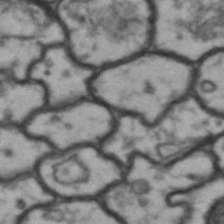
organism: Drosophila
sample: Brain